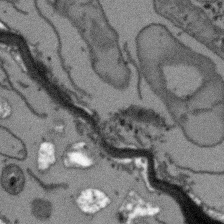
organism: Arabidopsis thaliana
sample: Root tip